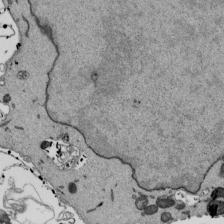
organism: Mouse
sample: ED-1 cell nuclei; centrioles